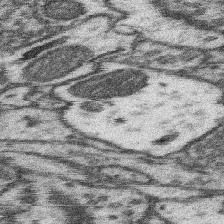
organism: Mouse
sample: Somatosensory cortex neuropil